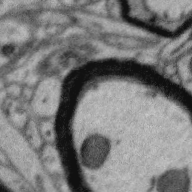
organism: Zebra finch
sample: Brain